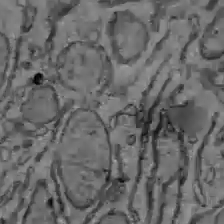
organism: C57BL Mouse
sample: Liver